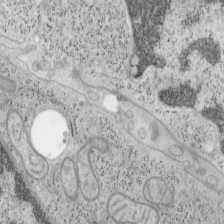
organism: Mouse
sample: OT-I killer T cells with ID8 ovarian cancer cells